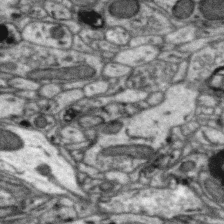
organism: Zebra finch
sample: Brain